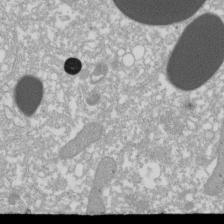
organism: Xenopus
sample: Cilia; centrioles in frog embryo cells